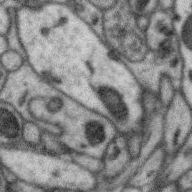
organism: Zebra finch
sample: Brain